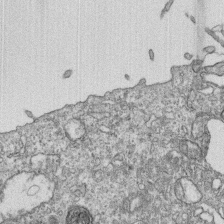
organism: Human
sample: HeLa cell HIV synapse